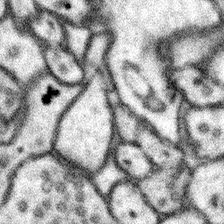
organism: Mouse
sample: Somatosensory cortex neuropil